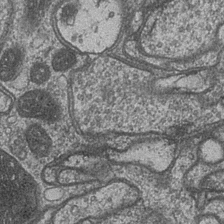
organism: Drosophila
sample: Optic medulla